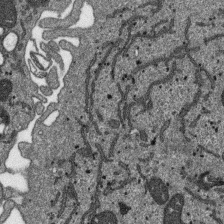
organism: Human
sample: Lung epithelial cells infected with SARS-CoV-2